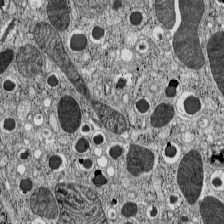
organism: C57BL Mouse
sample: Pancreatic islet